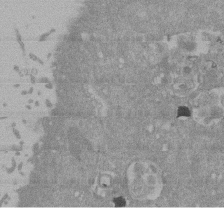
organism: Mouse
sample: ED-1 cell nuclei; centrioles